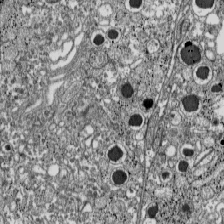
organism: C57BL Mouse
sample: Pancreatic islet